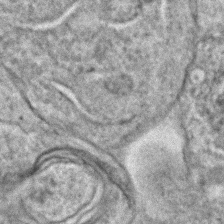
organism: C. elegans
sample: C. elegans embryo